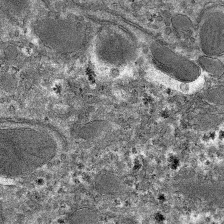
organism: Mouse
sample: Mouse hepatocytes